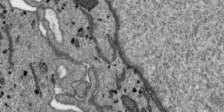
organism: Human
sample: Lung epithelial cells, uninfected (mock) control